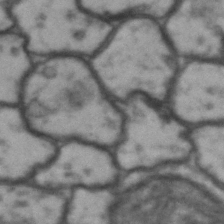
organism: Drosophila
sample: Brain